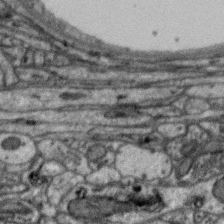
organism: Zebra finch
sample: Brain